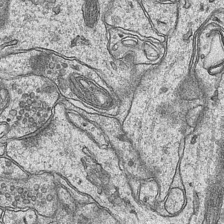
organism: Mouse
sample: CA1 Hippocampus